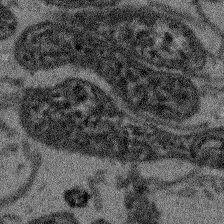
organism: Arabidopsis thaliana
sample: Root tip